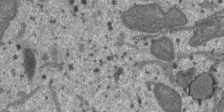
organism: Human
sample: Lung epithelial cells infected with SARS-CoV-2